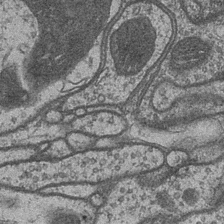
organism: Drosophila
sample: Optic medulla